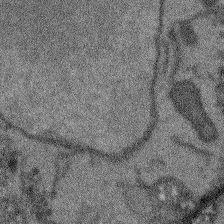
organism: Arabidopsis thaliana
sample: Root tip